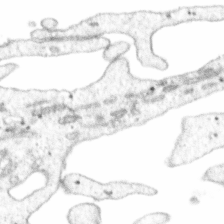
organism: Human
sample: HeLa cells